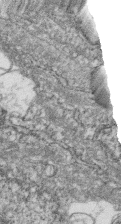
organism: Zebrafish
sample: Cilia; retinal pigment epithelium